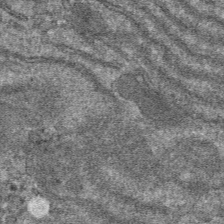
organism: Mouse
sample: Mouse hepatocytes